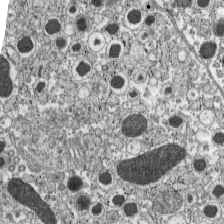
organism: C57BL Mouse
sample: Pancreatic islet